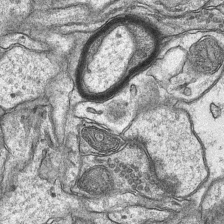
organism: Mouse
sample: CA1 Hippocampus